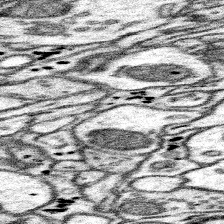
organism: Mouse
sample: Somatosensory cortex neuropil